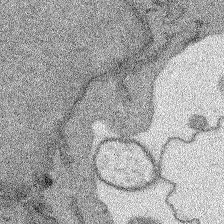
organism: Human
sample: HeLa cells